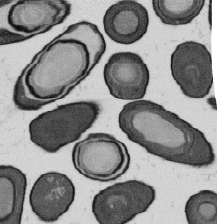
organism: B. subtilis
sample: Bacterial spore